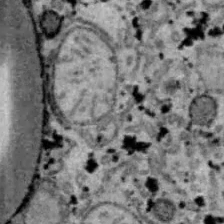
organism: Mouse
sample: Liver from an obese (ob/ob) mouse